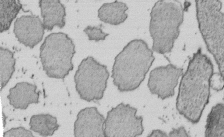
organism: E. coli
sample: Bacterial nucleoid